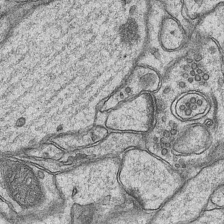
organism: Mouse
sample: CA1 Hippocampus